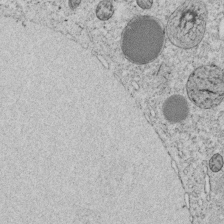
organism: C. elegans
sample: C. elegans embryo early stage